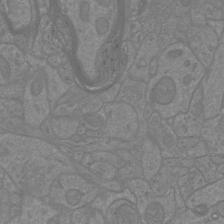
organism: Mouse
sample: Cortical neurons